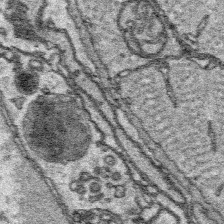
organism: Platynereis dumerilii